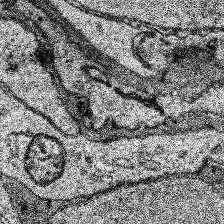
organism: Human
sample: Temporal Lobe